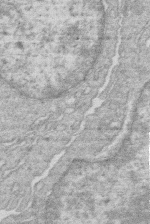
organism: Human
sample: Macrophage cells